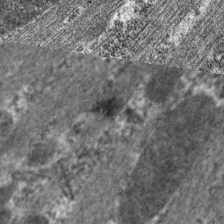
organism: C. elegans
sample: Pharynx